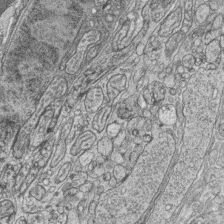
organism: Zebrafish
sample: synaptic ribbons in rod cells and cone cells